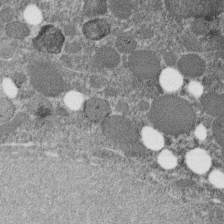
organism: C. elegans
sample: C. elegans embryo early stage